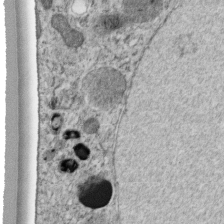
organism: C. elegans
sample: C. elegans embryo early stage